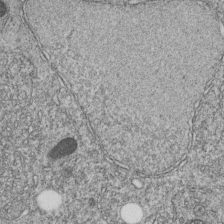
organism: C. elegans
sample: C. elegans embryo early stage